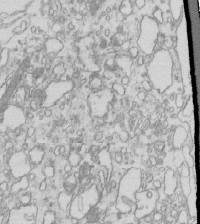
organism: Mouse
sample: Macrophages